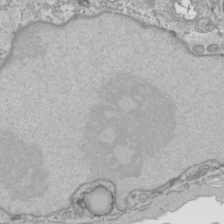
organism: Human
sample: Mitochondria in HCT116 cells